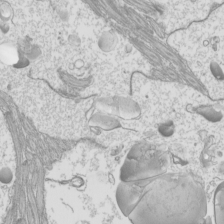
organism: Mouse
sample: Cilia; mouse epididymis